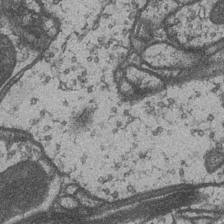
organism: Drosophila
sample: Optic medulla